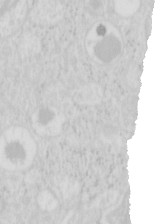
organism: Mouse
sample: Pancreas